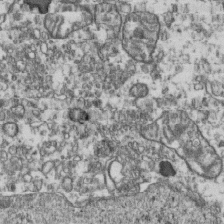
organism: Human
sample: Activated Jurkat CD4+ T cells